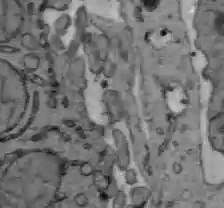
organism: C57BL Mouse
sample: Liver